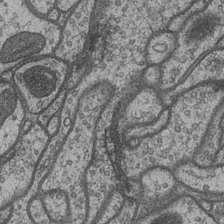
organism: Drosophila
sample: Optic medulla